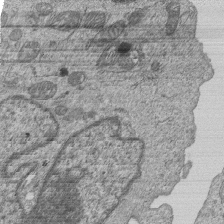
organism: Human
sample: MDA-MB-231 cells